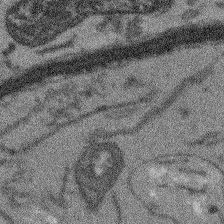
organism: Arabidopsis thaliana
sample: Root tip